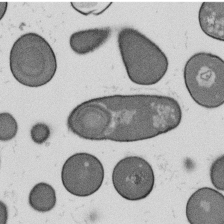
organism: B. subtilis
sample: Bacterial spore